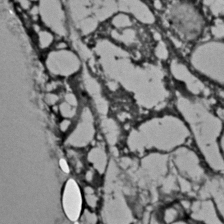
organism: C. elegans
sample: C. elegans embryo